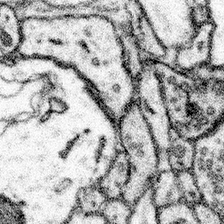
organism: Mouse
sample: Somatosensory cortex neuropil